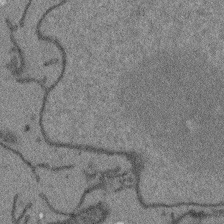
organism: Arabidopsis thaliana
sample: Root tip